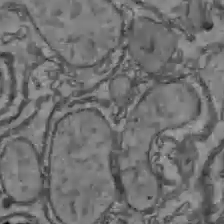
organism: C57BL Mouse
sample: Liver